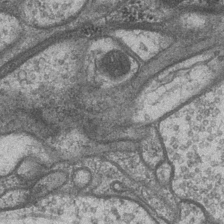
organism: Drosophila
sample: Optic medulla